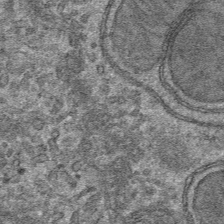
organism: Mouse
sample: Mouse hepatocytes